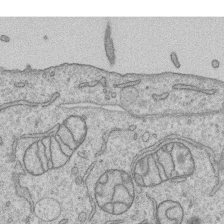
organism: Human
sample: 1205lu cells